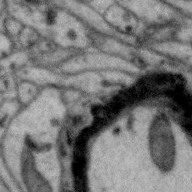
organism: Zebra finch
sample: Brain